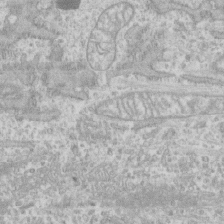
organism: Human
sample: CRL-1474